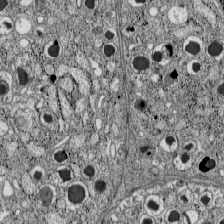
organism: C57BL Mouse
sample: Pancreatic islet